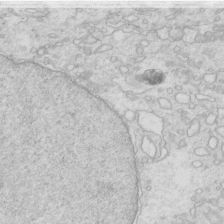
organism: Mouse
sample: Multiciliated cells